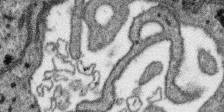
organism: Human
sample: Lung epithelial cells infected with SARS-CoV-2